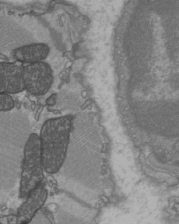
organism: C57BL Mouse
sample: Heart